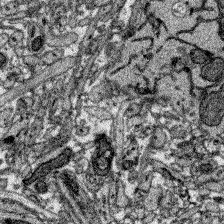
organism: Zebrafish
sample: Larval olfactory bulb